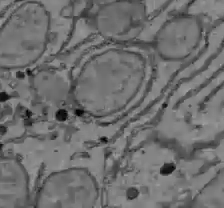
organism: C57BL Mouse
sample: Liver